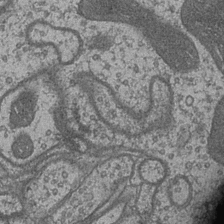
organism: Drosophila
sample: Optic medulla